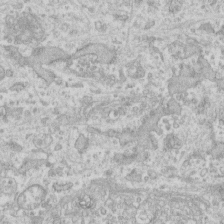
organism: Human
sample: Fibroblast cells